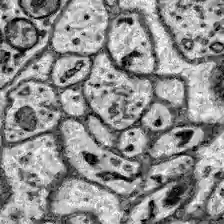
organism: Zebrafish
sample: Brain